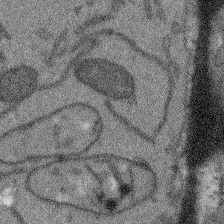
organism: Arabidopsis thaliana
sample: Root tip